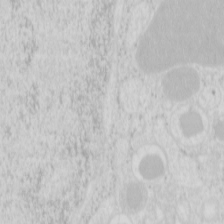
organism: Mouse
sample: Pancreas